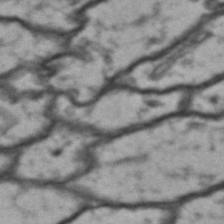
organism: Drosophila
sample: Brain